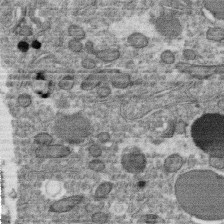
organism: C. elegans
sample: C. elegans oocyte; sperm cells